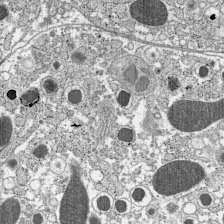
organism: C57BL Mouse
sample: Pancreatic islet